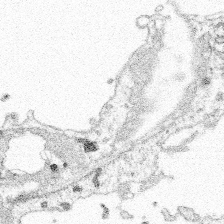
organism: Spongilla lacustris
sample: Multiple